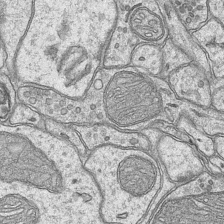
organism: Mouse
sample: CA1 Hippocampus